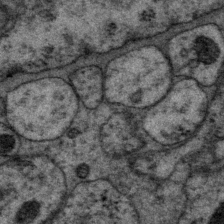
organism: P. pacificus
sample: Pharynx